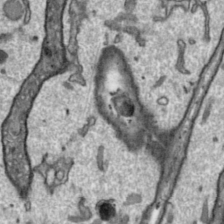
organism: Toxoplasma gondii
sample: Parasites in a vacuole inside a host cell